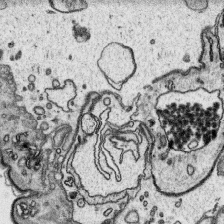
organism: Platynereis dumerilii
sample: Parapodia